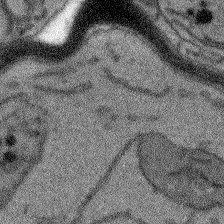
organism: Arabidopsis thaliana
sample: Root tip